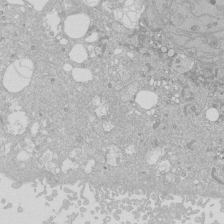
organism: Human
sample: Caco-2 cells